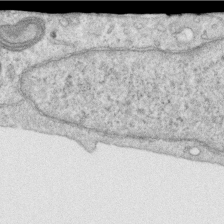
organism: Human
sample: Centriole in RPE cells